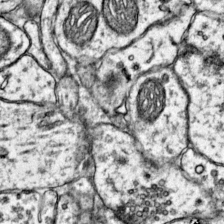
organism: Mouse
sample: Primary visual cortex